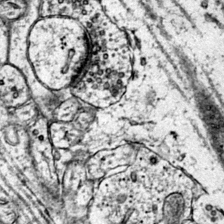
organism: Mouse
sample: Primary visual cortex